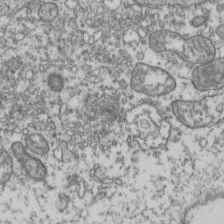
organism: Human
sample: Activated Jurkat CD4+ T cells